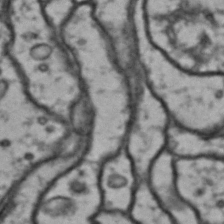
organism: Drosophila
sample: Brain